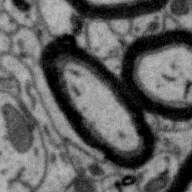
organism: Zebra finch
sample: Brain